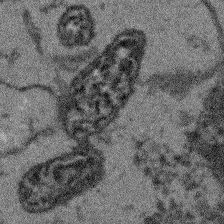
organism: Arabidopsis thaliana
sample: Root tip